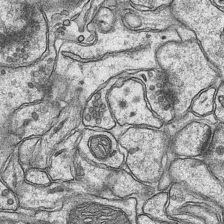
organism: Mouse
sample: CA1 Hippocampus